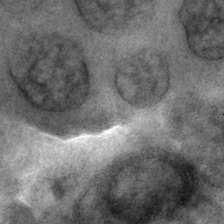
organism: C. elegans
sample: C. elegans embryo